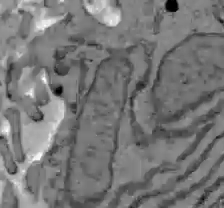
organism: C57BL Mouse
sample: Liver